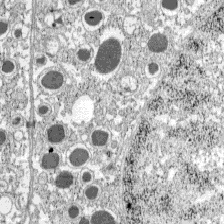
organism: C57BL Mouse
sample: Pancreatic islet